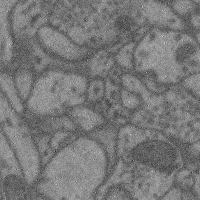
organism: Mouse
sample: Cerebral cortex